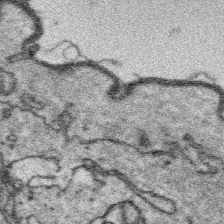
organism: Platynereis dumerilii